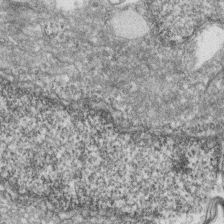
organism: Zebrafish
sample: Cilia; retinal pigment epithelium